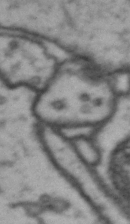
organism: Drosophila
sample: Brain